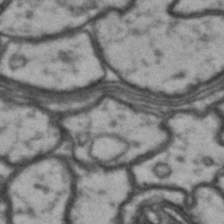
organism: Drosophila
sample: Brain